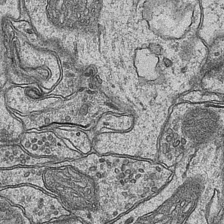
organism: Mouse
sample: CA1 Hippocampus